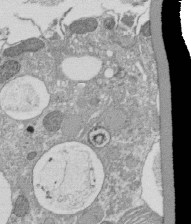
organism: Tetrahymena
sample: Cilia in tetrahymena